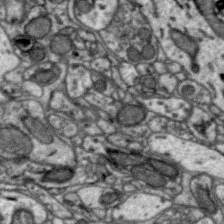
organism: Zebra finch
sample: Brain